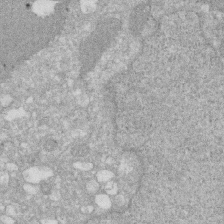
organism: Human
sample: HIV infected U937 cells